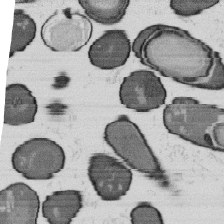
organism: B. subtilis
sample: Bacterial spore